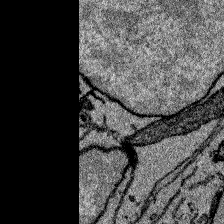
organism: Zebrafish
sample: Larval olfactory bulb